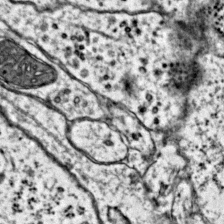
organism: Mouse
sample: Primary visual cortex